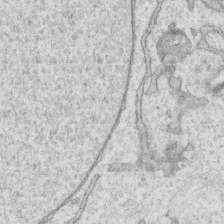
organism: Human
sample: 1205lu cells